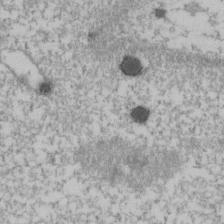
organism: Human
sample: U2-OS cells